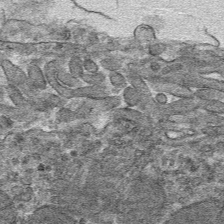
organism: Mouse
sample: Mouse hepatocytes